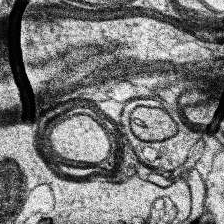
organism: Human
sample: Temporal Lobe